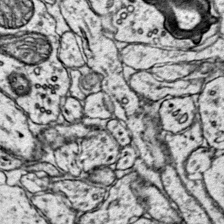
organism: Mouse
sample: Primary visual cortex